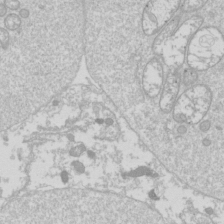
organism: Drosophila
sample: Cell division; meiosis; drosophila spermatocytes